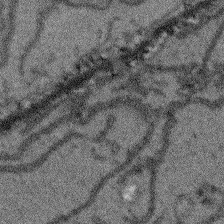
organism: Arabidopsis thaliana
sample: Root tip